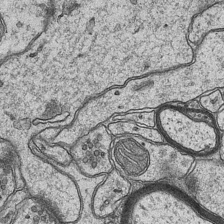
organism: Mouse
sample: CA1 Hippocampus